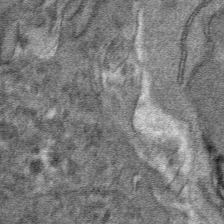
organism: Mouse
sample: Mouse hepatocytes